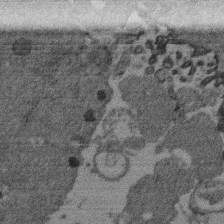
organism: Mouse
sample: Dividing mouse embryo 1 cell stage